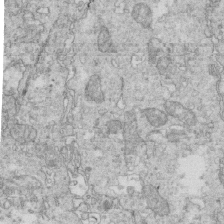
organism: Mouse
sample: Multiciliated cells